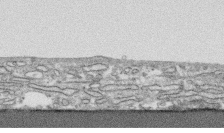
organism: Human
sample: CRL-1474